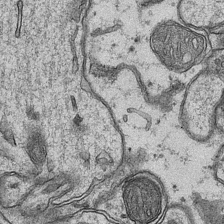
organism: Mouse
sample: CA1 Hippocampus